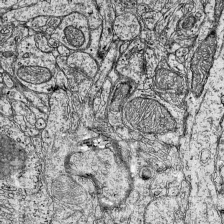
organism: Mouse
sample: Visual Cortex